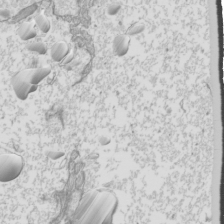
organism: Mouse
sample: Cilia; mouse epididymis